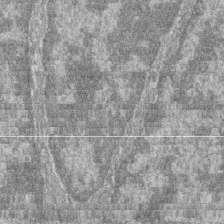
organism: Zebrafish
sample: Cilia; retinal pigment epithelium